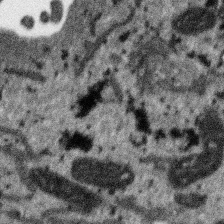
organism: Human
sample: Lung epithelial cells infected with SARS-CoV-2